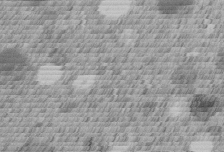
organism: C. elegans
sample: C. elegans embryo early stage